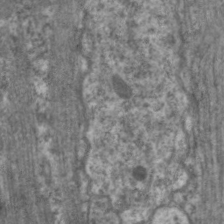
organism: C. elegans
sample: Pharynx